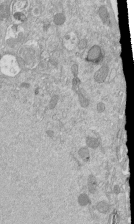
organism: Mouse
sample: ED-1 cell nuclei; centrioles